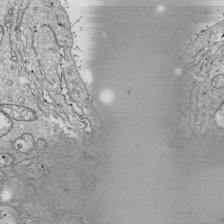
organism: Drosophila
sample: Cell division; meiosis; drosophila spermatocytes